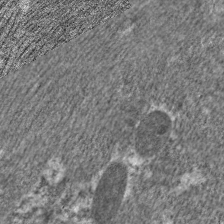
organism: C. elegans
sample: Pharynx